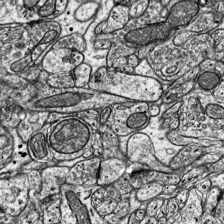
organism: Mouse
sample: Visual Cortex